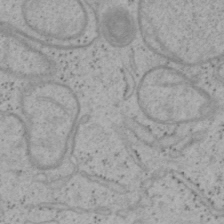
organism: Human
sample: HeLa cells